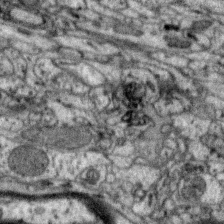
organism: Zebra finch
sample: Brain